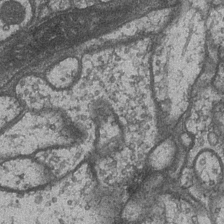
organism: Drosophila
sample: Optic medulla